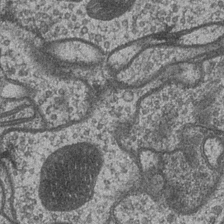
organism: Drosophila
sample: Optic medulla